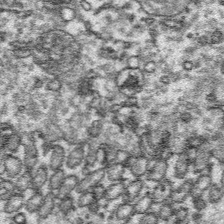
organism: Platynereis dumerilii